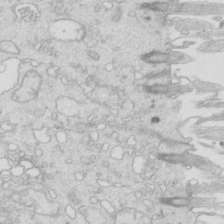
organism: Mouse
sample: Multiciliated cells